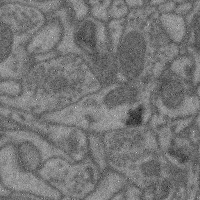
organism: Mouse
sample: Cerebral cortex